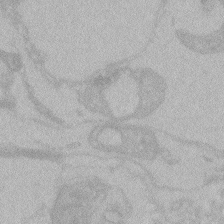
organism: Zebrafish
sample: Macrophage infected with Toxoplasma gondii